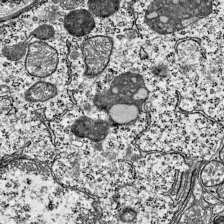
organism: Mouse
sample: Visual Cortex